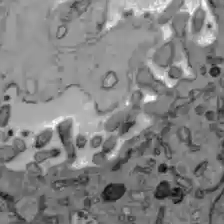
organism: C57BL Mouse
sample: Liver